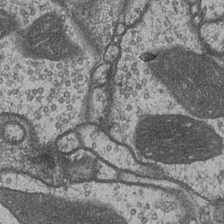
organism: Drosophila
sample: Optic medulla